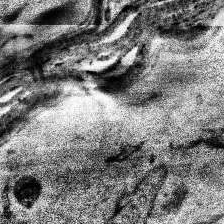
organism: Human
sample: Temporal Lobe